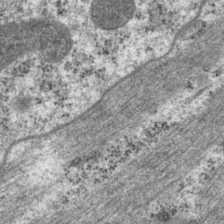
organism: P. pacificus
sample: Pharynx